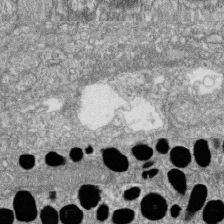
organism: Zebrafish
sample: Cilia; retinal pigment epithelium